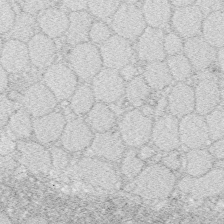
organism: Zebrafish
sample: Whole-Brain